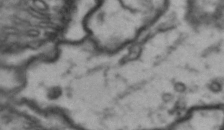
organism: Drosophila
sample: Brain